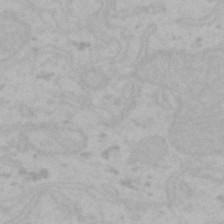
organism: Mouse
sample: Choroid plexus